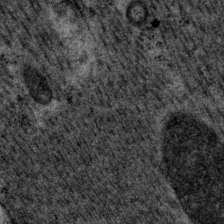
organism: P. pacificus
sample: Pharynx